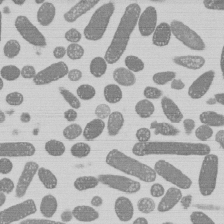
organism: E. coli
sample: Bacterial nucleoid